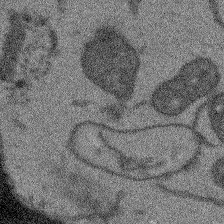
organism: Arabidopsis thaliana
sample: Root tip